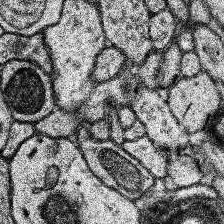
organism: Human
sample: Temporal Lobe